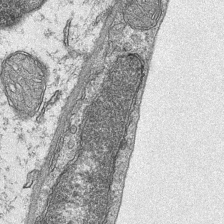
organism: Mouse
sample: CA1 Hippocampus